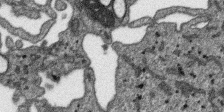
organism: Human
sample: Lung epithelial cells infected with SARS-CoV-2